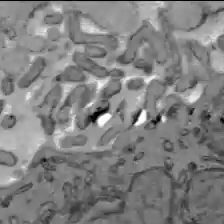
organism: C57BL Mouse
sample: Liver